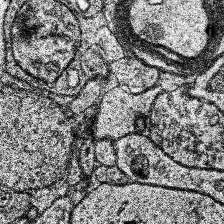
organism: Human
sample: Temporal Lobe